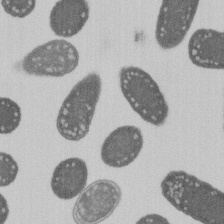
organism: E. coli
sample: Bacterial nucleoid